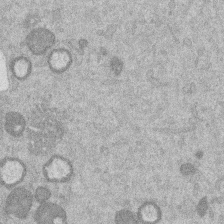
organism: Mouse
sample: Dividing mouse embryo 1 cell stage